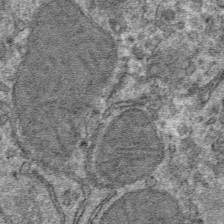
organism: Mouse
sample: Mouse hepatocytes